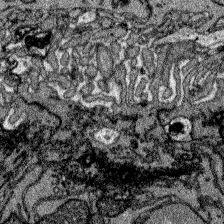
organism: Zebrafish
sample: Larval olfactory bulb